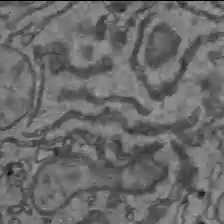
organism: C57BL Mouse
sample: Liver